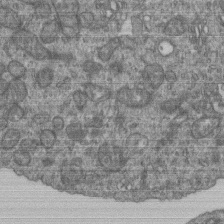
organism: Human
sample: Retinal organoid Rod and Cone cells